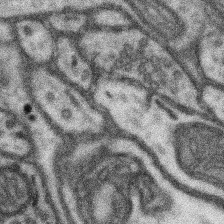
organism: Mouse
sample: Somatosensory cortex neuropil